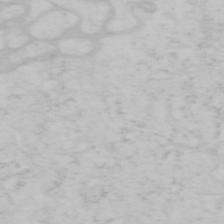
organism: Mouse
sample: OT-I killer T cells with ID8 ovarian cancer cells